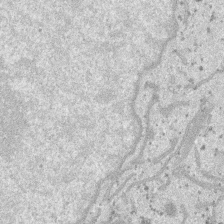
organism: Human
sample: Lung epithelial cells infected with SARS-CoV-2